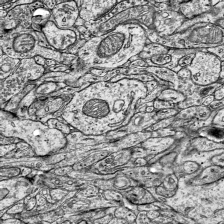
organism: Mouse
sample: Visual Cortex